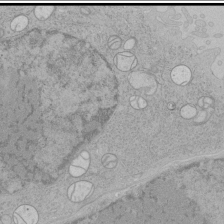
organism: Human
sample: Mitochondria in HCT116 cells